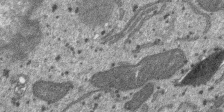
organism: Human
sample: Lung epithelial cells infected with SARS-CoV-2